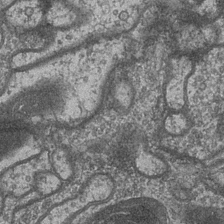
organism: Drosophila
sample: Optic medulla